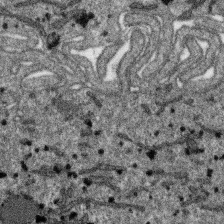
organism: Human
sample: Lung epithelial cells infected with SARS-CoV-2